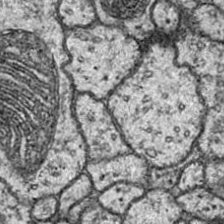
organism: Drosophila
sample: Ventral Nerve Cord